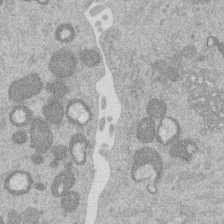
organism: Mouse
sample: Dividing mouse embryo 1 cell stage